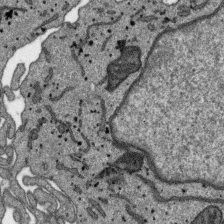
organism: Human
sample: Lung epithelial cells, uninfected (mock) control